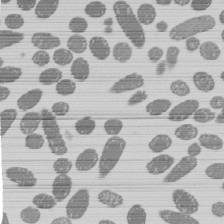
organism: E. coli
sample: Bacterial nucleoid